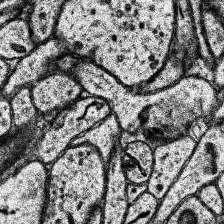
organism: Human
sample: Temporal Lobe